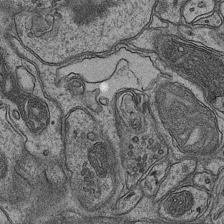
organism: Mouse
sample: CA1 Hippocampus